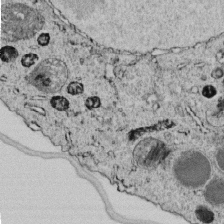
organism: C. elegans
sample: C. elegans embryo early stage